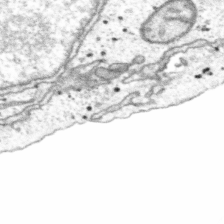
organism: Human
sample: HeLa cells